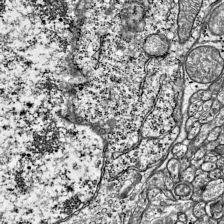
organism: Mouse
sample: Visual Cortex